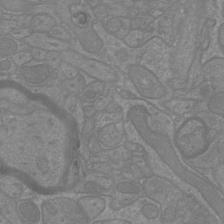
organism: Mouse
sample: Cortical neurons